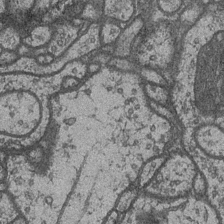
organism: Drosophila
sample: Optic medulla